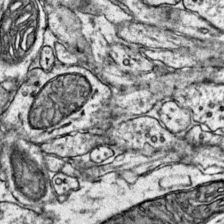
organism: Mouse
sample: Primary visual cortex